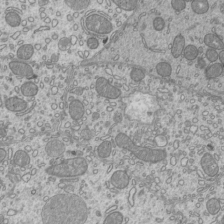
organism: Mouse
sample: Cilia; mouse epididymis